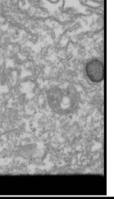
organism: Drosophila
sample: Cell division; meiosis; drosophila spermatocytes